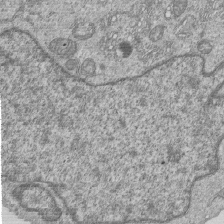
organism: Human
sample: MDA-MB-231 cells